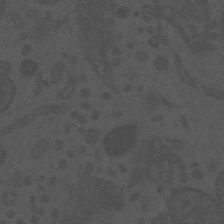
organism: Mouse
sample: Suprachiasmatic nucleus